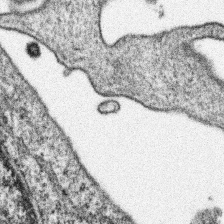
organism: Human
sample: HeLa cells